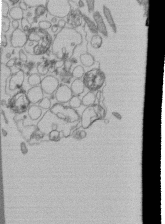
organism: Human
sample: Retinal organoid Rod and Cone cells